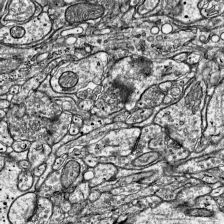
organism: Mouse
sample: Visual Cortex